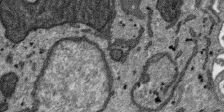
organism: Human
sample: Lung epithelial cells, uninfected (mock) control